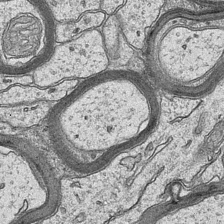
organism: Mouse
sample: CA1 Hippocampus